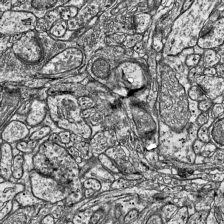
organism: Mouse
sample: Visual Cortex